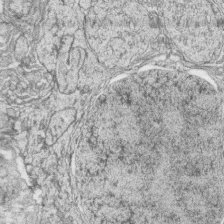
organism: Zebrafish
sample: synaptic ribbons in rod cells and cone cells